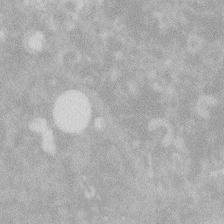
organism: Zebrafish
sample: Macrophage